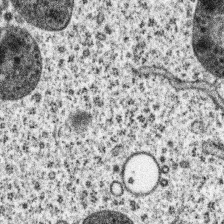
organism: Human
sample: HeLa cells